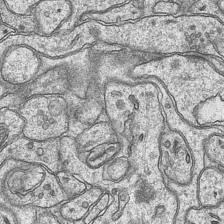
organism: Mouse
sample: CA1 Hippocampus